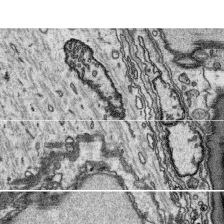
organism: Platynereis dumerilii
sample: Parapodia